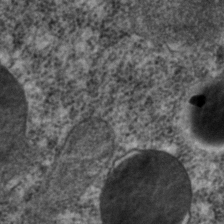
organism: C. elegans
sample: C. elegans embryo